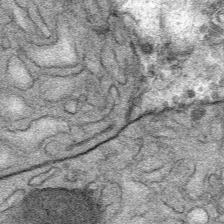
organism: Mouse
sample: Mouse Salivary gland